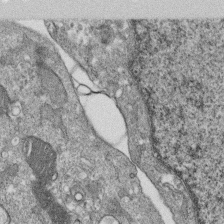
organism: African green monkey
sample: Vero E6 cells infected with SARS-CoV-2